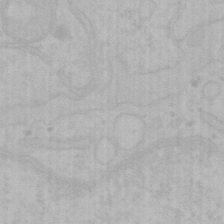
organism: Mouse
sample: Choroid plexus